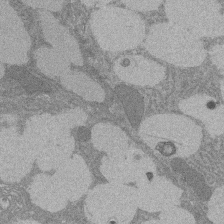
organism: Rat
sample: Salivary granule